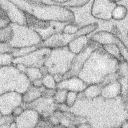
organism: Rabbit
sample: Retina